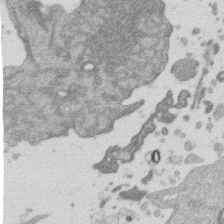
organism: Mouse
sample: Dividing mouse embryo 1 cell stage